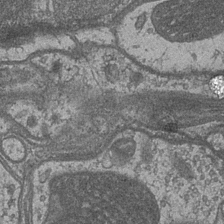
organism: Drosophila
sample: Optic medulla